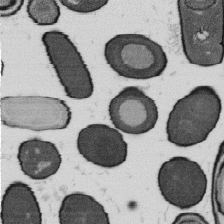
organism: B. subtilis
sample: Bacterial spore